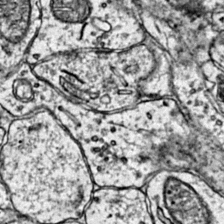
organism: Mouse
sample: Primary visual cortex